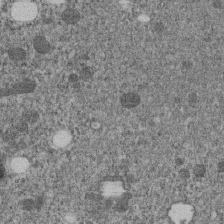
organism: C. elegans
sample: C. elegans embryo early stage